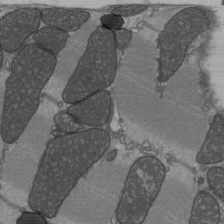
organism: C57BL Mouse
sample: Heart